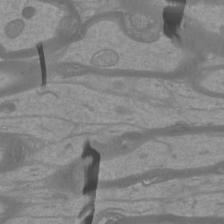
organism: Mouse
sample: Cortical neurons